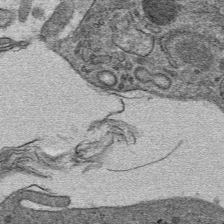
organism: Mouse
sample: Mouse hepatocytes